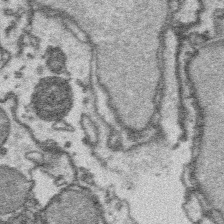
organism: Platynereis dumerilii